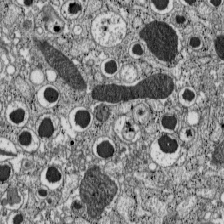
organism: C57BL Mouse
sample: Pancreatic islet